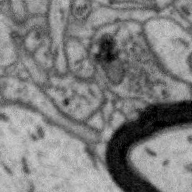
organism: Zebra finch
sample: Brain